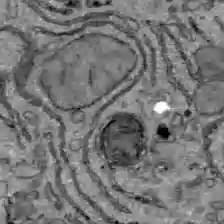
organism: C57BL Mouse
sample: Liver